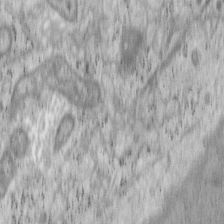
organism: Human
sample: HeLa cells